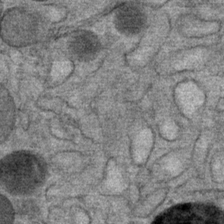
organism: Mouse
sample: Mouse Salivary gland